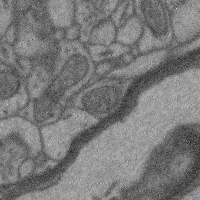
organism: Mouse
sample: Cerebral cortex